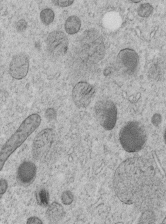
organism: C. elegans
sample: C. elegans embryo early stage